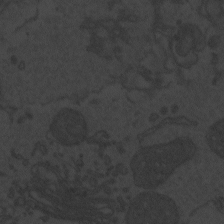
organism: Zebrafish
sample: Macrophage infected with Toxoplasma gondii